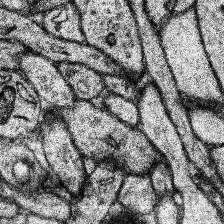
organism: Human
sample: Temporal Lobe